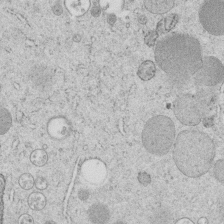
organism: C. elegans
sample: C. elegans embryo early stage